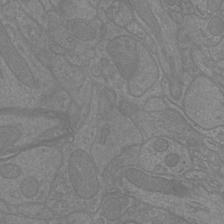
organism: Mouse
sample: Cortical neurons